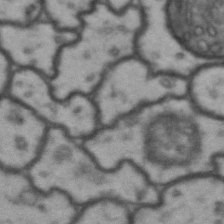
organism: Drosophila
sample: Brain